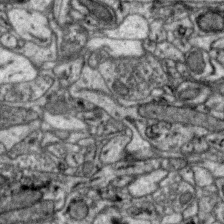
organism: Zebra finch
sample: Brain